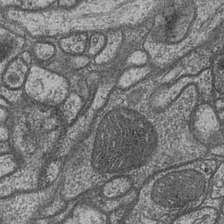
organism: Drosophila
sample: Optic medulla